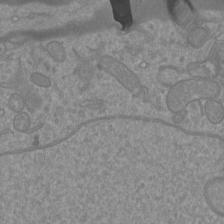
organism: Mouse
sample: Cortical neurons